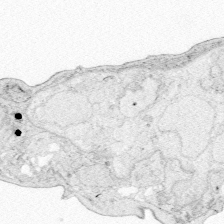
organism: Zebrafish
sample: Whole-Brain